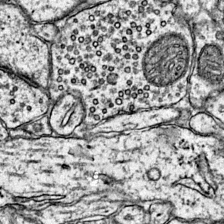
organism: Mouse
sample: Primary visual cortex